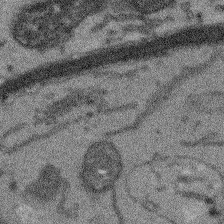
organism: Arabidopsis thaliana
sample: Root tip